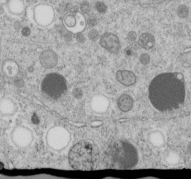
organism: C. elegans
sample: C. elegans embryo early stage